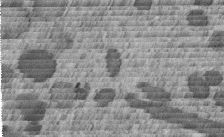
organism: C. elegans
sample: C. elegans embryo early stage